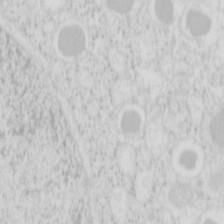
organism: Mouse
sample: Pancreas